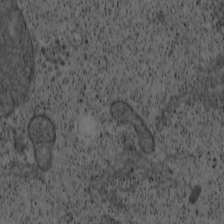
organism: African green monkey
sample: COS-7 cells